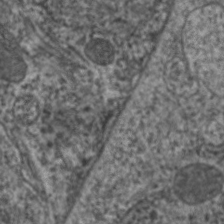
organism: C. elegans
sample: Pharynx